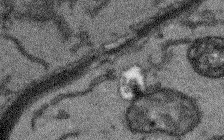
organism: Arabidopsis thaliana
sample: Root tip